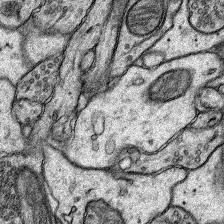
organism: Rat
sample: Hippocampus